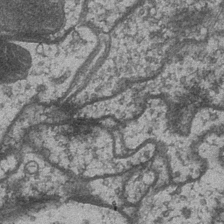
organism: Drosophila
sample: Optic medulla